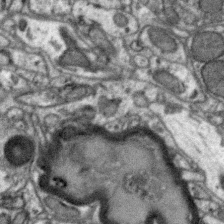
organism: Zebra finch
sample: Brain